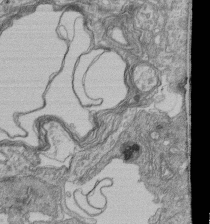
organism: Human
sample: Retinal organoid Rod and Cone cells